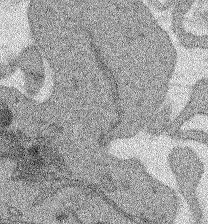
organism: Human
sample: HeLa cells